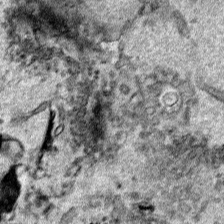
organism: Human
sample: Mitochondria in HCT116 cells